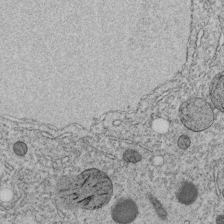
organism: C. elegans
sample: C. elegans embryo early stage